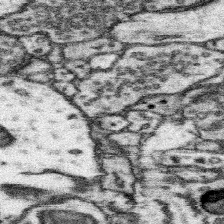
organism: Mouse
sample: Somatosensory cortex neuropil